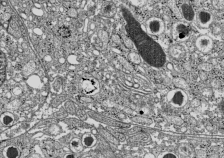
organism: C57BL Mouse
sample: Pancreatic islet